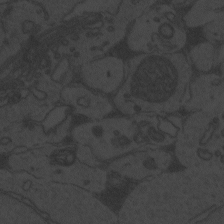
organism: Zebrafish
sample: Macrophage infected with Toxoplasma gondii